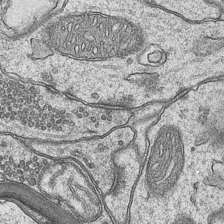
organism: Mouse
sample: CA1 Hippocampus